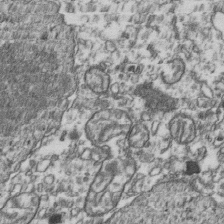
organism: Human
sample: Activated Jurkat CD4+ T cells